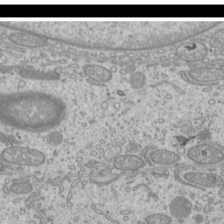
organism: Mouse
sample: Cilia; mouse epididymis